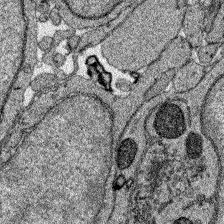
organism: Zebrafish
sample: Larval olfactory bulb